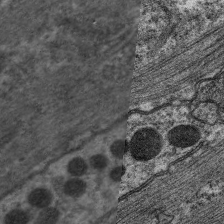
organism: C. elegans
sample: Pharynx